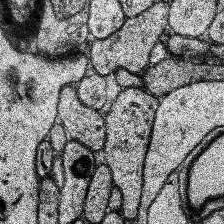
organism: Human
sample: Temporal Lobe